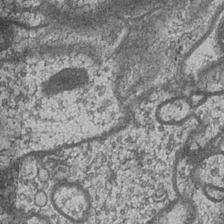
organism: Drosophila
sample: Optic medulla